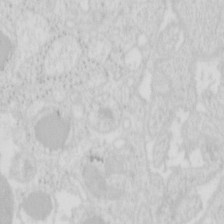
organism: Mouse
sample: Pancreas